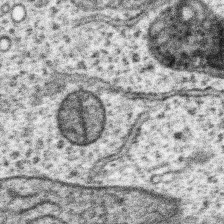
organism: Human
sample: HeLa cells